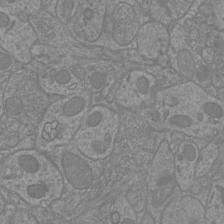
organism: Mouse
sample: Cortical neurons